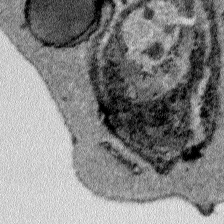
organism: Plasmodium falciparum